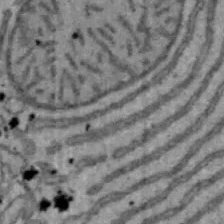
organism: Mouse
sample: Liver